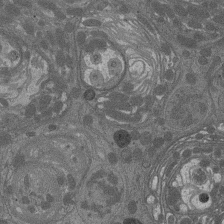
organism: Drosophila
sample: Antenna